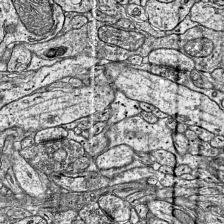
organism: Mouse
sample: Visual Cortex